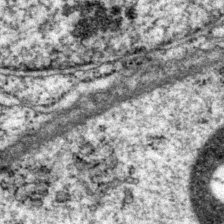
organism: P. pacificus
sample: Pharynx